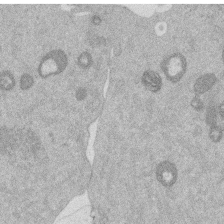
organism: Mouse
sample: Dividing mouse embryo 1 cell stage